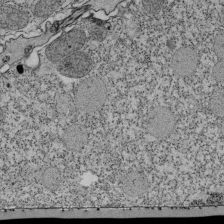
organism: Tetrahymena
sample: Cilia in tetrahymena